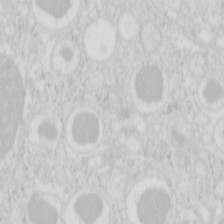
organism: Mouse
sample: Pancreas